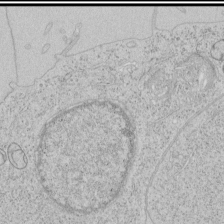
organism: Human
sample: Mitochondria in HCT116 cells